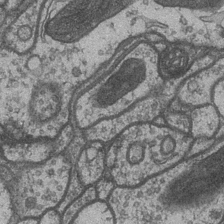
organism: Drosophila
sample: Optic medulla